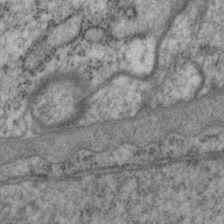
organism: P. pacificus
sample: Pharynx